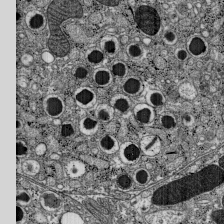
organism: C57BL Mouse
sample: Pancreatic islet